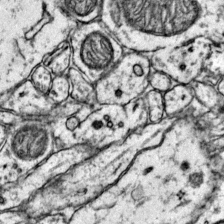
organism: Mouse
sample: Primary visual cortex